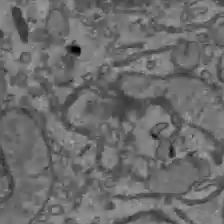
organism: C57BL Mouse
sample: Liver